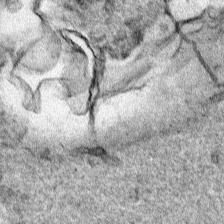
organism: Human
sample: Mitochondria in HCT116 cells